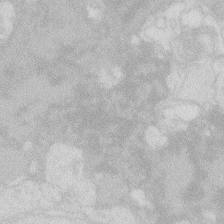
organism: Zebrafish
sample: Macrophage